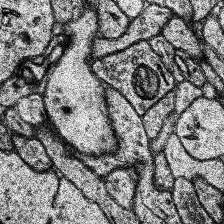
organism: Human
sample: Temporal Lobe